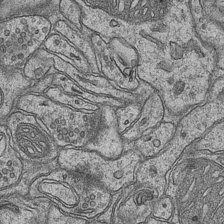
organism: Mouse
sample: CA1 Hippocampus